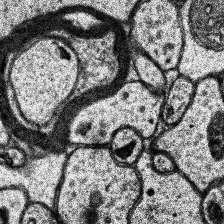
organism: Human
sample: Temporal Lobe